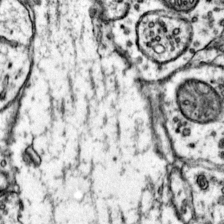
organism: Mouse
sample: Primary visual cortex